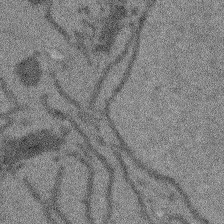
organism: Arabidopsis thaliana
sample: Root tip